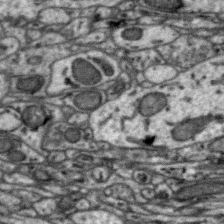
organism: Zebra finch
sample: Brain